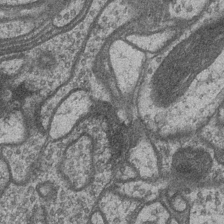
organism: Drosophila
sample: Optic medulla